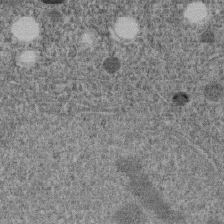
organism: C. elegans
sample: C. elegans embryo early stage